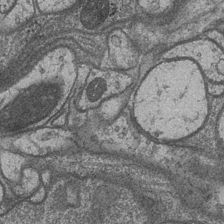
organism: Drosophila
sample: Optic medulla